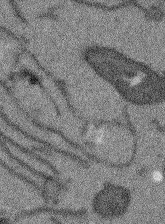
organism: Arabidopsis thaliana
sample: Root tip